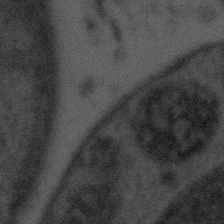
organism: Tuwongella immobilis